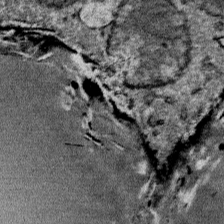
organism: Mouse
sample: Mouse Salivary gland